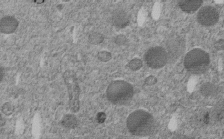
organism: C. elegans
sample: C. elegans embryo early stage